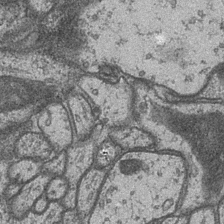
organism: Drosophila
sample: Optic medulla